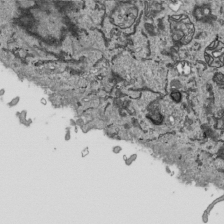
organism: Human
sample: Mitochondria in HCT116 cells